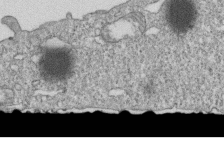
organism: Human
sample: HeLa cell HIV synapse